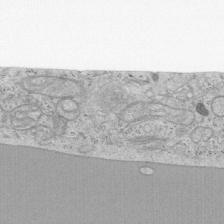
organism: Human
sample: HeLa cells